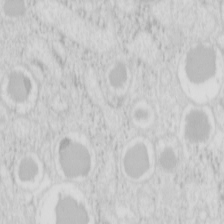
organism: Mouse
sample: Pancreas